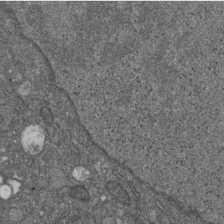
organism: Drosophila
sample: Nephrocyte